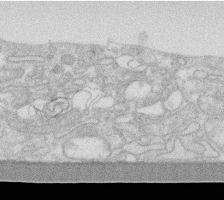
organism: Human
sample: Fibroblast cells